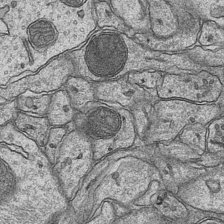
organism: Mouse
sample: CA1 Hippocampus